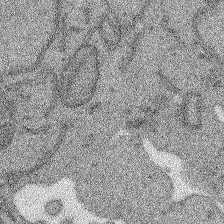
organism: Human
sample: HeLa cells